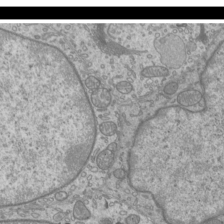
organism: Mouse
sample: Cilia; mouse epididymis